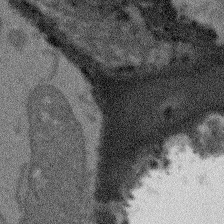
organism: Arabidopsis thaliana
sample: Root tip